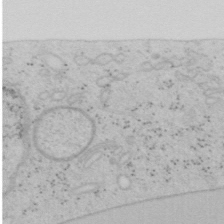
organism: Human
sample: HeLa cells